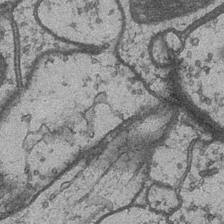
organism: Drosophila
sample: Optic medulla